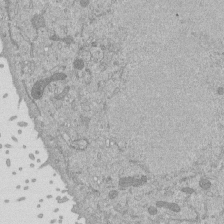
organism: Mouse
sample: ED-1 cell nuclei; centrioles